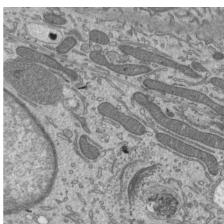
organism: Mouse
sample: Mouse epididymis efferent ductule cilia